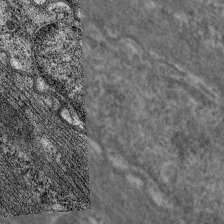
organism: C. elegans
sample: Pharynx